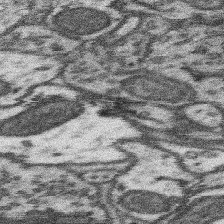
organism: Mouse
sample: Somatosensory cortex neuropil